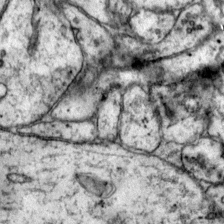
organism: Mouse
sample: Primary visual cortex